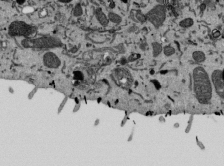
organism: Mouse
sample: ED-1 cell nuclei; centrioles